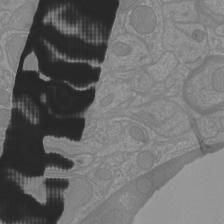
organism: Mouse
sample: Cortical neurons